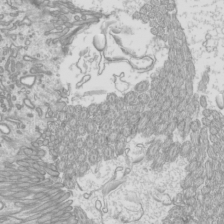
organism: Mouse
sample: Cilia; mouse epididymis